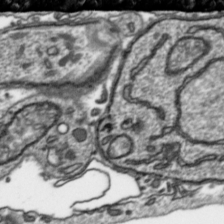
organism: Toxoplasma gondii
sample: Parasites in a vacuole inside a host cell